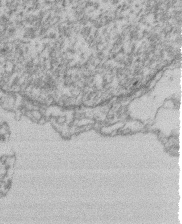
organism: Mouse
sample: T cell stromal cell synapse